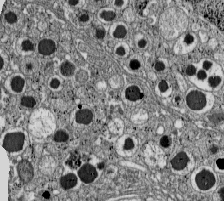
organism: C57BL Mouse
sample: Pancreatic islet